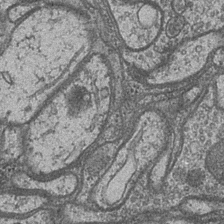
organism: Drosophila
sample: Optic medulla